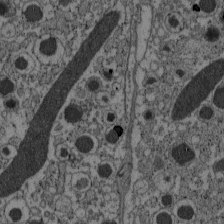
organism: C57BL Mouse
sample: Pancreatic islet